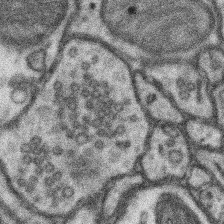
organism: Mouse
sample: Somatosensory cortex neuropil